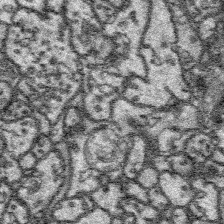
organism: Platynereis dumerilii